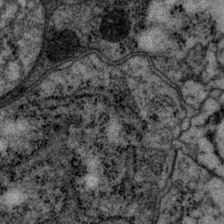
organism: P. pacificus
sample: Pharynx